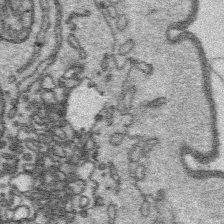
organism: Platynereis dumerilii